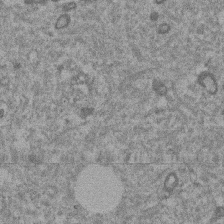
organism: Mouse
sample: Dividing mouse embryo 1 cell stage